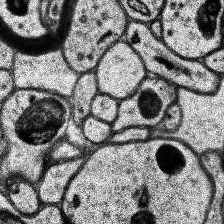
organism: Human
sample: Temporal Lobe